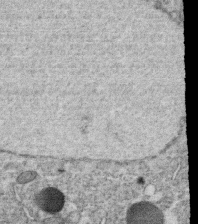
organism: C. elegans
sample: C. elegans oocyte; sperm cells